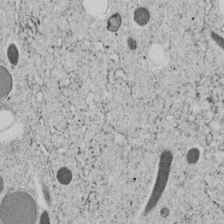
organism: C. elegans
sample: C. elegans embryo early stage